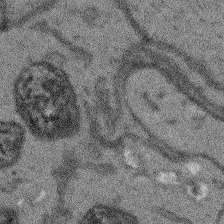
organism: Arabidopsis thaliana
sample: Root tip